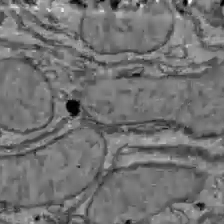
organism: C57BL Mouse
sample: Liver